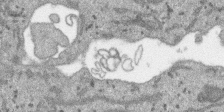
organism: Human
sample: Lung epithelial cells infected with SARS-CoV-2